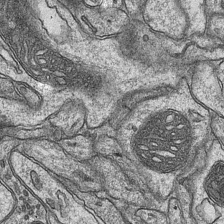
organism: Mouse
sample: CA1 Hippocampus